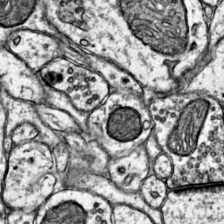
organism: Mouse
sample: Primary visual cortex